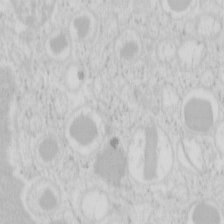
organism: Mouse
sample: Pancreas